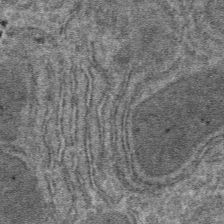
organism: Mouse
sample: Mouse hepatocytes